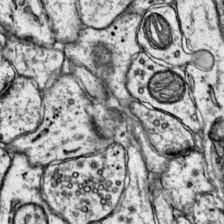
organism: Mouse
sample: Primary visual cortex